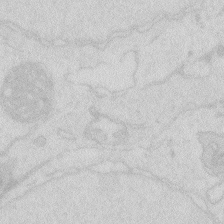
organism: Zebrafish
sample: Macrophage